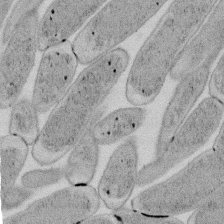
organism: E. coli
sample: Bacterial nucleoid